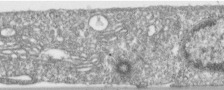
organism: Human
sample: Centriole in RPE cells